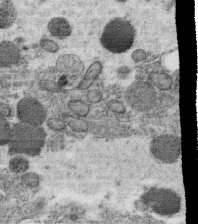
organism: C. elegans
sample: C. elegans oocyte; sperm cells